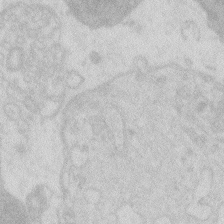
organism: Zebrafish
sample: Macrophage